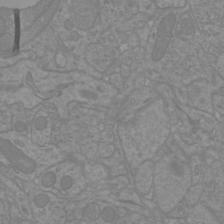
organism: Mouse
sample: Cortical neurons